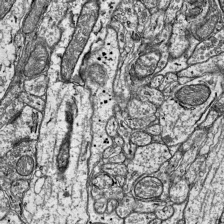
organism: Mouse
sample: Visual Cortex